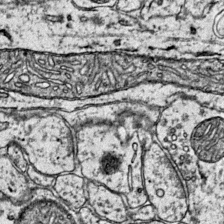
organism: Mouse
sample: Primary visual cortex